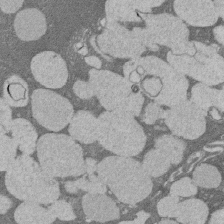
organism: Rat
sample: Salivary granule